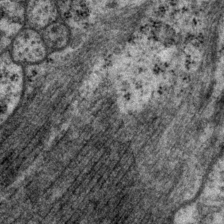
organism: P. pacificus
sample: Pharynx